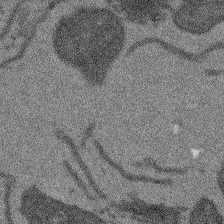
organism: Arabidopsis thaliana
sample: Root tip